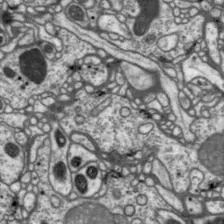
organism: Drosophila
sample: Protocerebral bridge